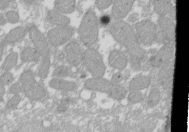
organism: Xenopus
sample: Cilia; centrioles in frog embryo cells